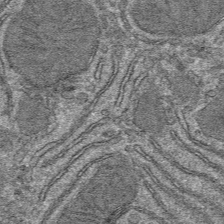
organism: Mouse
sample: Mouse hepatocytes